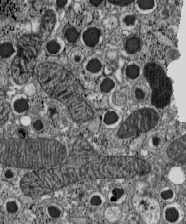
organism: C57BL Mouse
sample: Pancreatic islet